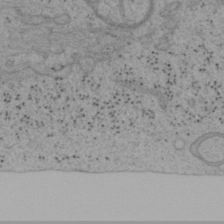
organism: Human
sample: HeLa cells